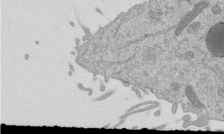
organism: Mouse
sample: ED-1 cell nuclei; centrioles